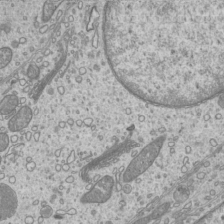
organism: Mouse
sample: Cilia; mouse epididymis